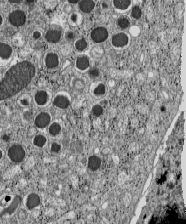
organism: C57BL Mouse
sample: Pancreatic islet